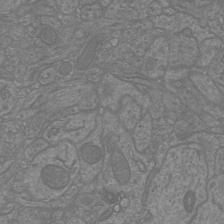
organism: Mouse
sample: Cortical neurons